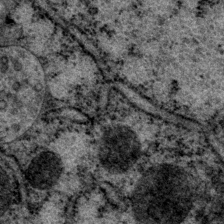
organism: P. pacificus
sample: Pharynx